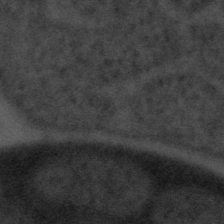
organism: Tuwongella immobilis